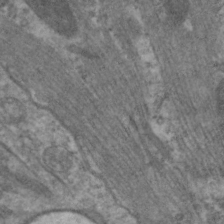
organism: C. elegans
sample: Pharynx